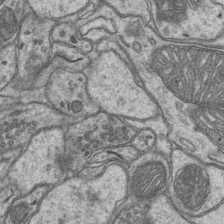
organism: Mouse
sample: CA1 Hippocampus